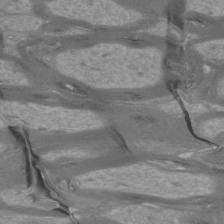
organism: Mouse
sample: Cortical neurons